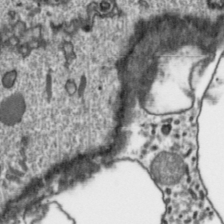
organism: Toxoplasma gondii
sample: Parasites in a vacuole inside a host cell